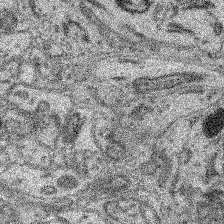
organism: Mouse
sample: Retina